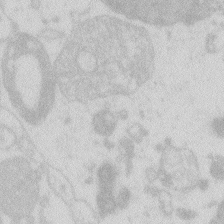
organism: Zebrafish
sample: Macrophage